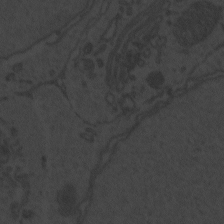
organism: Zebrafish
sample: Macrophage infected with Toxoplasma gondii